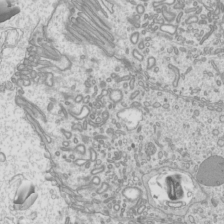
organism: Mouse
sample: Cilia; mouse epididymis